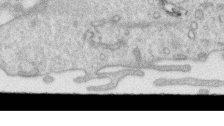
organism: Human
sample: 1205lu cells